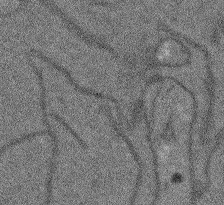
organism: Arabidopsis thaliana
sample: Root tip